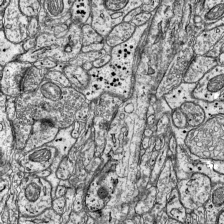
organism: Mouse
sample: Visual Cortex